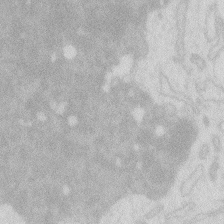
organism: Zebrafish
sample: Macrophage